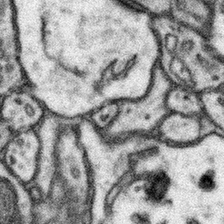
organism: Mouse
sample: Somatosensory cortex neuropil